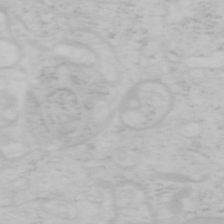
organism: Mouse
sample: OT-I killer T cells with ID8 ovarian cancer cells